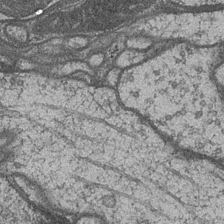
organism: Drosophila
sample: Optic medulla